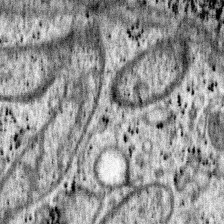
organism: Human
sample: HeLa cells